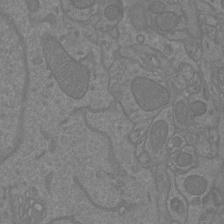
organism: Mouse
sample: Cortical neurons